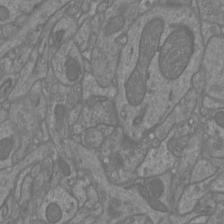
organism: Mouse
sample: Cortical neurons